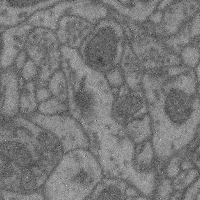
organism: Mouse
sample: Cerebral cortex